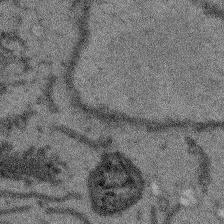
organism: Arabidopsis thaliana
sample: Root tip